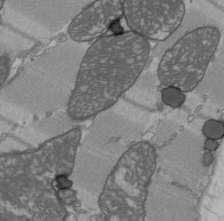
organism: C57BL Mouse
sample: Heart